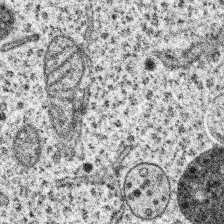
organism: Human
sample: HeLa cells